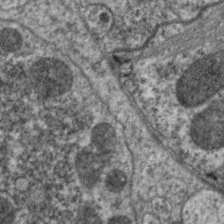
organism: C. elegans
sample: Pharynx